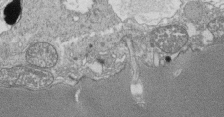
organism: Tetrahymena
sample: Cilia in tetrahymena